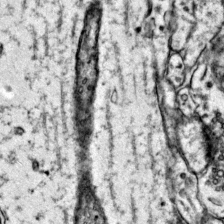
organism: Mouse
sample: Primary visual cortex